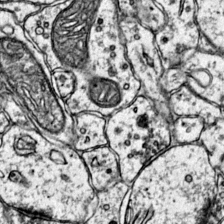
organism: Mouse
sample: Primary visual cortex